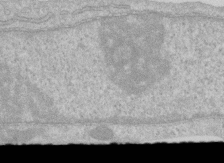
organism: Human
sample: Centriole in RPE cells